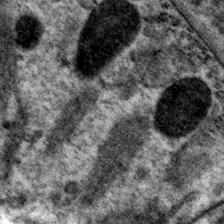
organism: P. pacificus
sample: Pharynx